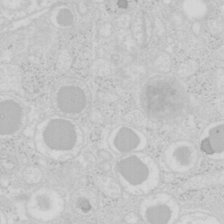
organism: Mouse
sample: Pancreas